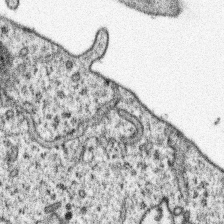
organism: Human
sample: HeLa cells